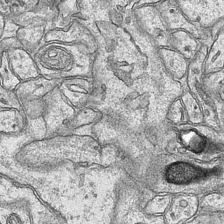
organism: Mouse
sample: CA1 Hippocampus